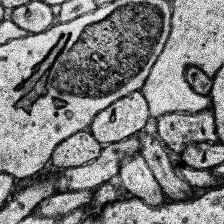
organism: Human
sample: Temporal Lobe